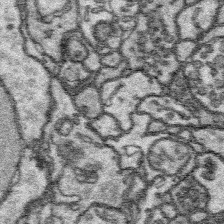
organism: Platynereis dumerilii